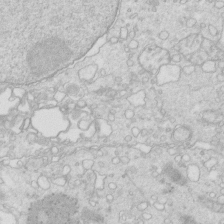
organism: Mouse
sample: Multiciliated cells